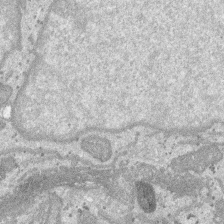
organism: Human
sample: Lung epithelial cells infected with SARS-CoV-2